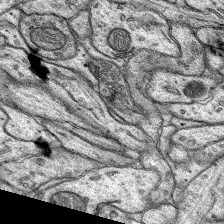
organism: Rat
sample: Hippocampus